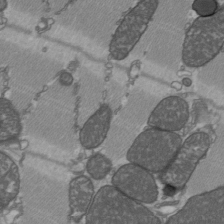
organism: C57BL Mouse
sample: Heart